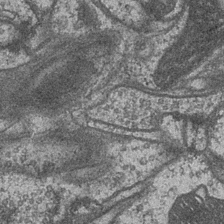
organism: Drosophila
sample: Optic medulla